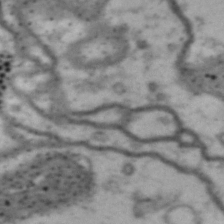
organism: Drosophila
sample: Brain